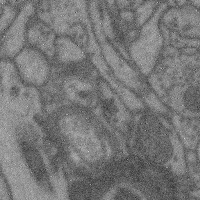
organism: Mouse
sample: Cerebral cortex